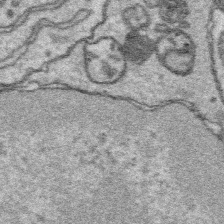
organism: Platynereis dumerilii